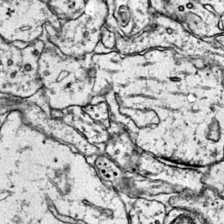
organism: Mouse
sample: Primary visual cortex